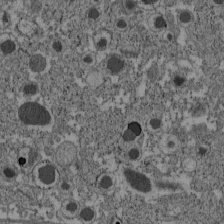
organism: C57BL Mouse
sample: Pancreatic islet